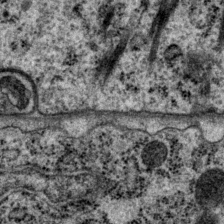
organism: P. pacificus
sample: Pharynx